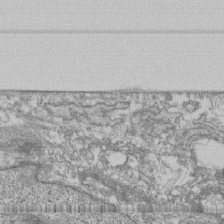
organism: Human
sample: Fibroblast cells